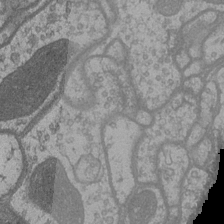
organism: Drosophila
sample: Optic medulla